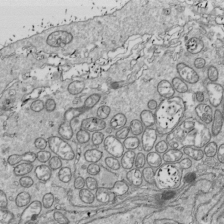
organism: Drosophila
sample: Cell division; meiosis; drosophila spermatocytes